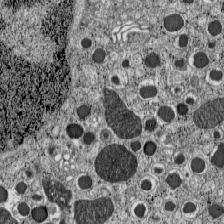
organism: C57BL Mouse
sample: Pancreatic islet